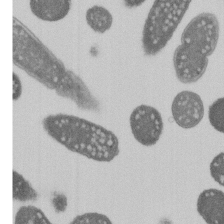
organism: E. coli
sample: Bacterial nucleoid